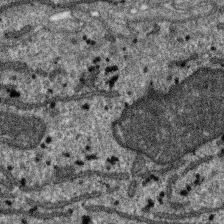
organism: Human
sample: Lung epithelial cells infected with SARS-CoV-2